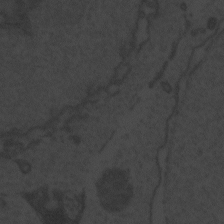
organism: Zebrafish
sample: Macrophage infected with Toxoplasma gondii